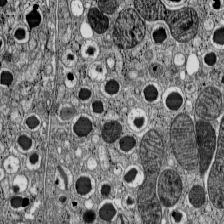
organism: C57BL Mouse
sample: Pancreatic islet